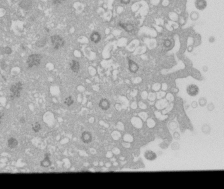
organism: Xenopus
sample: Cilia; centrioles in frog embryo cells